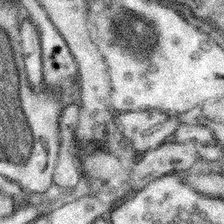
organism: Mouse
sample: Somatosensory cortex neuropil